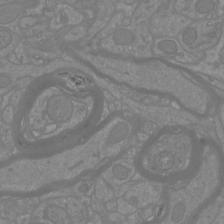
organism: Mouse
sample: Cortical neurons